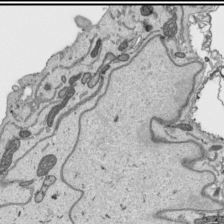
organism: Human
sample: Mitochondria in HCT116 cells